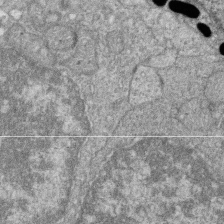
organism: Zebrafish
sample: Cilia; retinal pigment epithelium